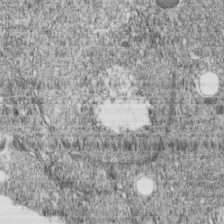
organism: C. elegans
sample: C. elegans embryo early stage